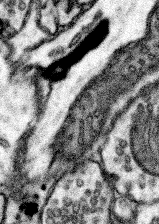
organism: Mouse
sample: Somatosensory cortex neuropil